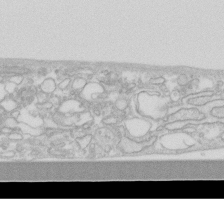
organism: Human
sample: Fibroblast cells